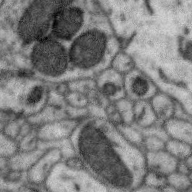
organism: Zebra finch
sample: Brain